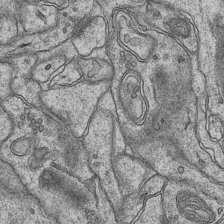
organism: Mouse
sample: CA1 Hippocampus